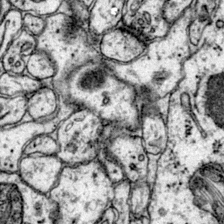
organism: Mouse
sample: Primary visual cortex